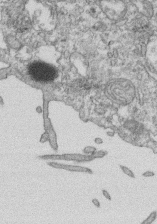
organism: Human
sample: HeLa cell HIV synapse